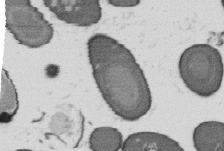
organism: B. subtilis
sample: Bacterial spore